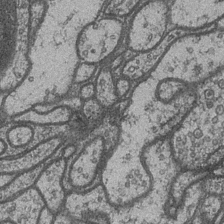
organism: Drosophila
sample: Optic medulla